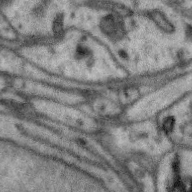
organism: Zebra finch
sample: Brain